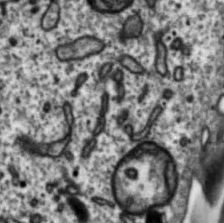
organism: Human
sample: HeLa cells